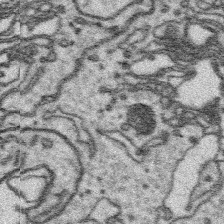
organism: Platynereis dumerilii